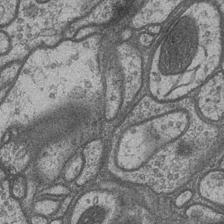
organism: Drosophila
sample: Optic medulla